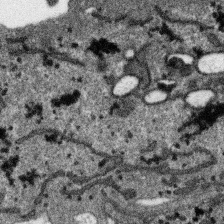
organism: Human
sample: Lung epithelial cells infected with SARS-CoV-2